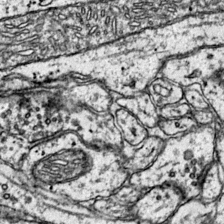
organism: Mouse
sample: Primary visual cortex